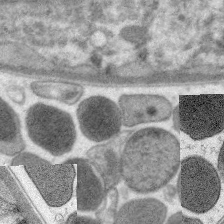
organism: C. elegans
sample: Pharynx